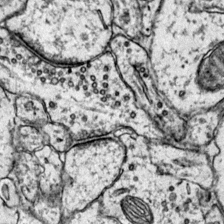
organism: Mouse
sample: Primary visual cortex